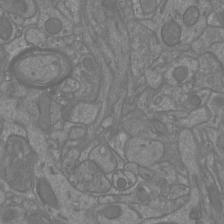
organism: Mouse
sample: Cortical neurons